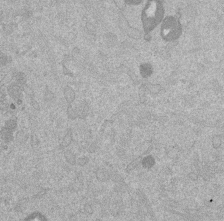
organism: Mouse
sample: Dividing mouse embryo 1 cell stage